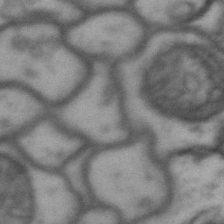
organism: Drosophila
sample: Brain